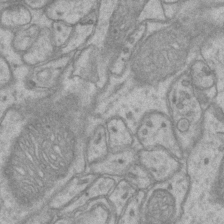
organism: Mouse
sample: CA1 Hippocampus